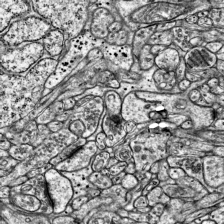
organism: Mouse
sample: Visual Cortex